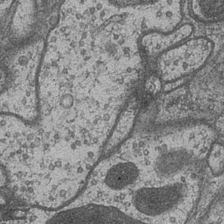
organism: Drosophila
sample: Optic medulla